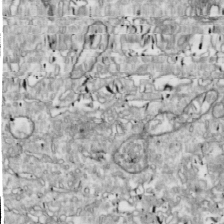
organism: Drosophila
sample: Cell division; meiosis; drosophila spermatocytes